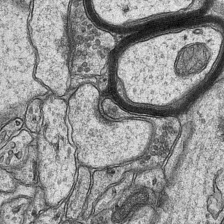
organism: Mouse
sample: CA1 Hippocampus